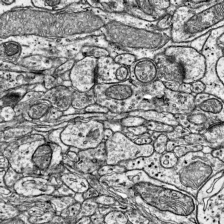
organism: Mouse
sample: Visual Cortex